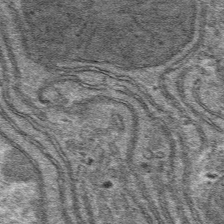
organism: Mouse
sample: Mouse hepatocytes